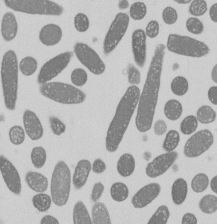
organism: E. coli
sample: Bacterial nucleoid